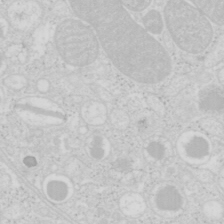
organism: Mouse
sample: Pancreas